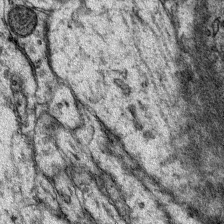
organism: Mouse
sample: Primary visual cortex